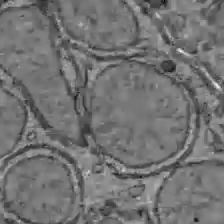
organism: C57BL Mouse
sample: Liver